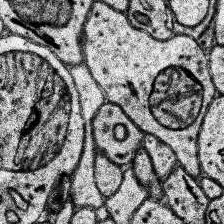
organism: Human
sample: Temporal Lobe